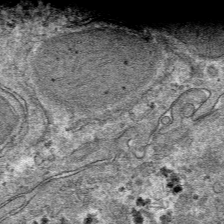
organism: Mouse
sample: Mouse hepatocytes